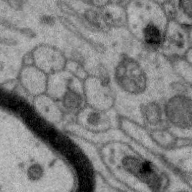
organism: Zebra finch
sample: Brain